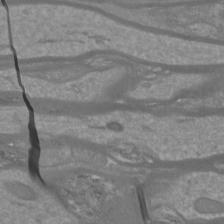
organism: Mouse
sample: Cortical neurons